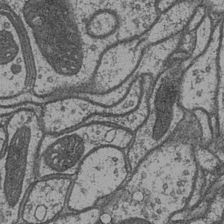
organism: Drosophila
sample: Optic medulla